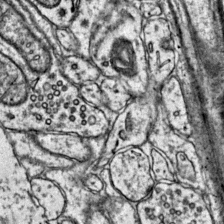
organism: Mouse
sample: Primary visual cortex